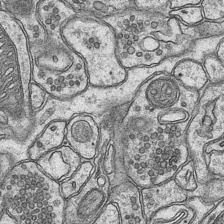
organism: Mouse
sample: CA1 Hippocampus